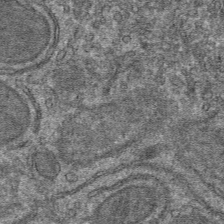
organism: Mouse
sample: Mouse hepatocytes